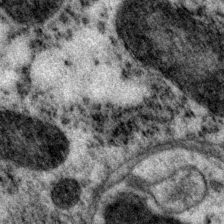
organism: P. pacificus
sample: Pharynx